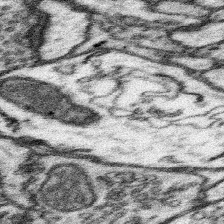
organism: Mouse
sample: Somatosensory cortex neuropil